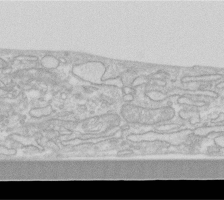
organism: Human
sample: Fibroblast cells